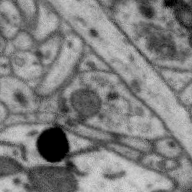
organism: Zebra finch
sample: Brain